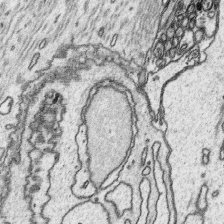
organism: Platynereis dumerilii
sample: Parapodia